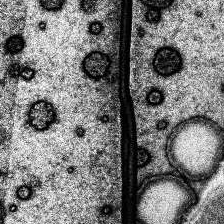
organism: Human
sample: Temporal Lobe